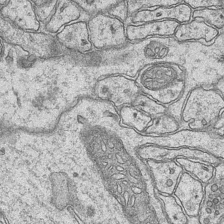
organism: Mouse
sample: CA1 Hippocampus